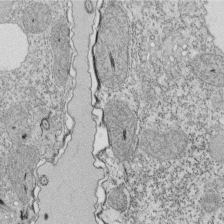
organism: Tetrahymena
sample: Cilia in tetrahymena